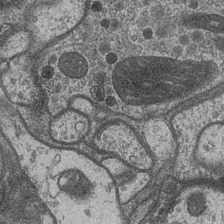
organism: Drosophila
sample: Optic medulla